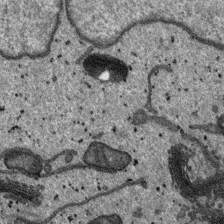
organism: Human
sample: Lung epithelial cells, uninfected (mock) control